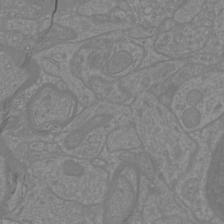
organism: Mouse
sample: Cortical neurons